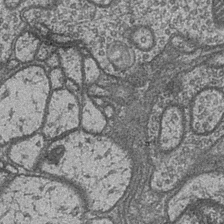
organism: Drosophila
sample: Optic medulla